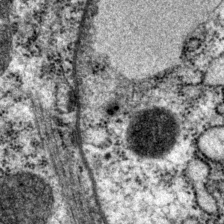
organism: P. pacificus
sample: Pharynx